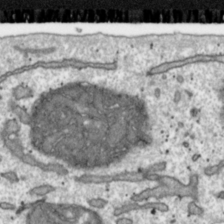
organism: Toxoplasma gondii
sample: Parasites in a vacuole inside a host cell